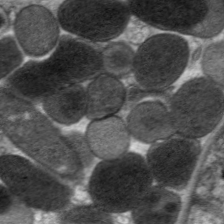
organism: C. elegans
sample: Pharynx